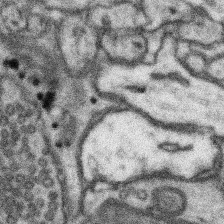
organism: Mouse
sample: Somatosensory cortex neuropil